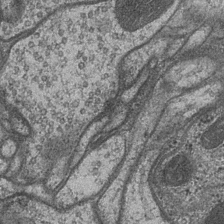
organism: Drosophila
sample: Optic medulla